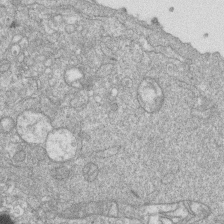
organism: Human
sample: HeLa cell HIV synapse